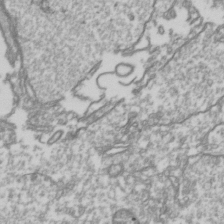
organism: Drosophila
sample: Cell division; meiosis; drosophila spermatocytes